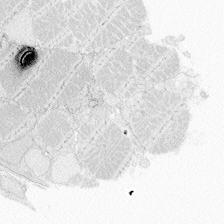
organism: Zebrafish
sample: Whole-Brain